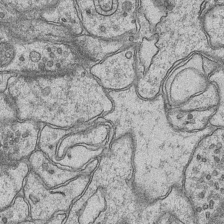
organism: Mouse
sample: CA1 Hippocampus